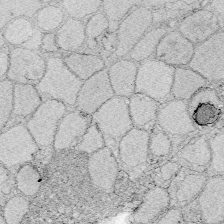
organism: Zebrafish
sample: Whole-Brain